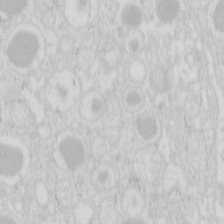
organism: Mouse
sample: Pancreas